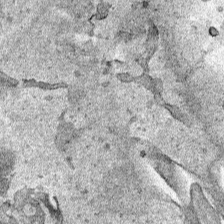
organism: Human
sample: Mitochondria in HCT116 cells